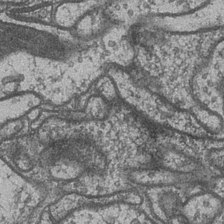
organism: Drosophila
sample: Optic medulla